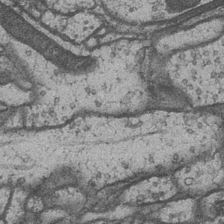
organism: Drosophila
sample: Optic medulla